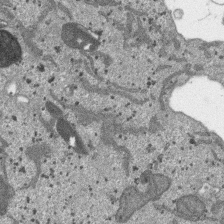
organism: Human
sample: Lung epithelial cells infected with SARS-CoV-2